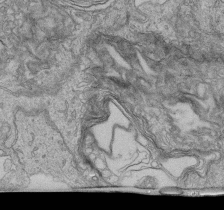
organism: Human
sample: Retinal organoid Rod and Cone cells